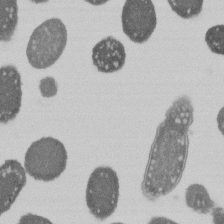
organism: E. coli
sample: Bacterial nucleoid